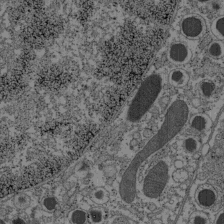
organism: C57BL Mouse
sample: Pancreatic islet